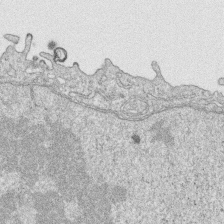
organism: Human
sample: HeLa cell HIV synapse